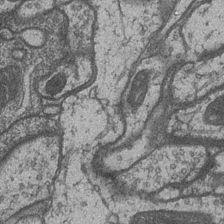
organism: Drosophila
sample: Optic medulla